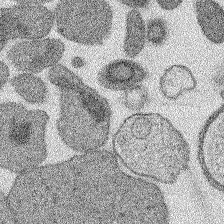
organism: Human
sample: HeLa cells